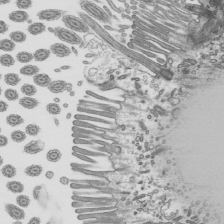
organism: Mouse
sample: Mouse epididymis efferent ductule cilia